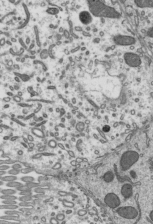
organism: Mouse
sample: Mouse epididymis efferent ductule cilia